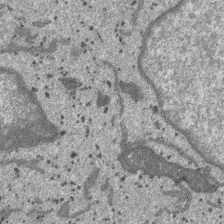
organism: Human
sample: Lung epithelial cells infected with SARS-CoV-2